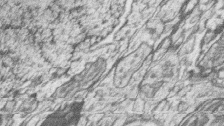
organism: Zebrafish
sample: synaptic ribbons in rod cells and cone cells